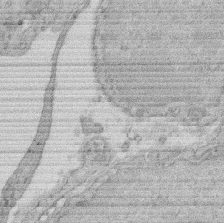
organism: Rat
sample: Salivary granule